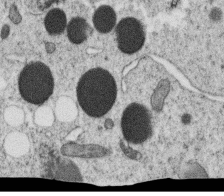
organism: C. elegans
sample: C. elegans oocyte; sperm cells